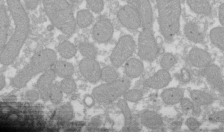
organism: Xenopus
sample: Cilia; centrioles in frog embryo cells